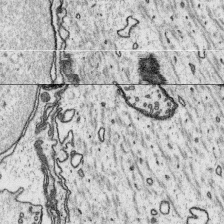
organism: Platynereis dumerilii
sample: Parapodia